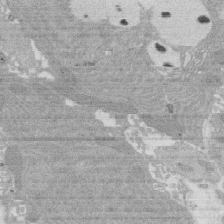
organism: Rat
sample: Salivary granule